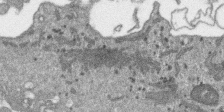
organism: Human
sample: Lung epithelial cells infected with SARS-CoV-2